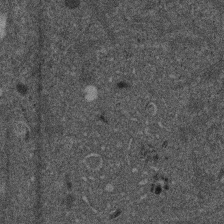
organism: Mouse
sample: Dividing mouse embryo 1 cell stage